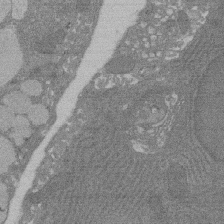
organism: Rat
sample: Salivary granule